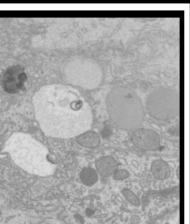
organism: Mouse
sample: Cilia; mouse epididymis